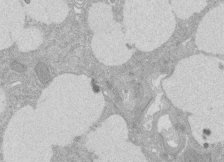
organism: Rat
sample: Salivary granule